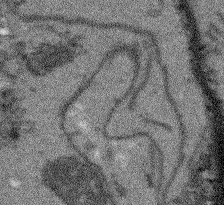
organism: Arabidopsis thaliana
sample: Root tip